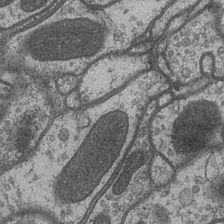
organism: Drosophila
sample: Optic medulla